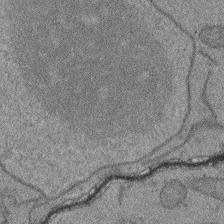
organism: Arabidopsis thaliana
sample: Root tip